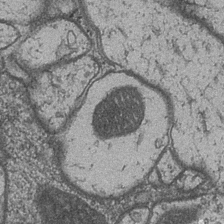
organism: Drosophila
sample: Optic medulla